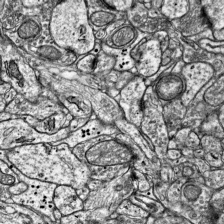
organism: Mouse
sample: Visual Cortex